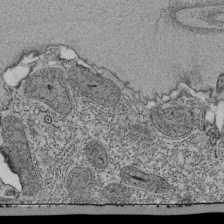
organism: Tetrahymena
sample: Cilia in tetrahymena